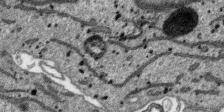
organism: Human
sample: Lung epithelial cells, uninfected (mock) control